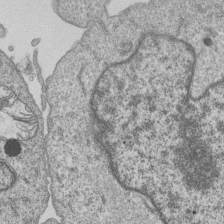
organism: Human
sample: MDA-MB-231 cells